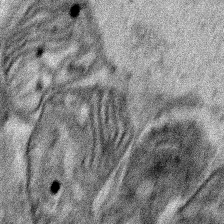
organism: Human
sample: Mitochondria in HCT116 cells